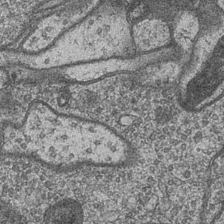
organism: Drosophila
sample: Optic medulla